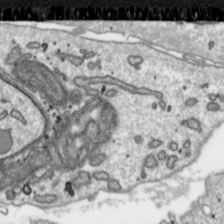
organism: Toxoplasma gondii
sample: Parasites in a vacuole inside a host cell